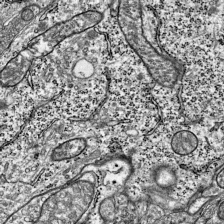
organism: Mouse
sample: Visual Cortex